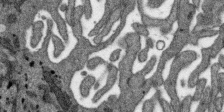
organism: Human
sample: Lung epithelial cells, uninfected (mock) control